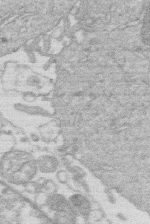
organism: Human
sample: Macrophage cells